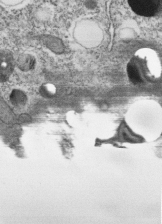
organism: C. elegans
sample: C. elegans embryo early stage